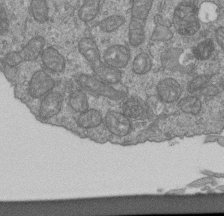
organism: Human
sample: Retinal organoid Rod and Cone cells